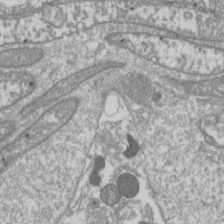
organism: Drosophila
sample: Cell division; meiosis; drosophila spermatocytes